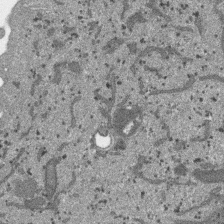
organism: Human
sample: Lung epithelial cells infected with SARS-CoV-2